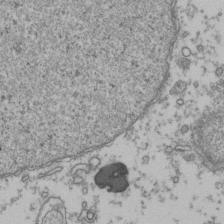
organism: Human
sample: Activated Jurkat CD4+ T cells